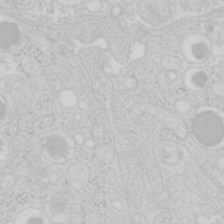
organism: Mouse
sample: Pancreas